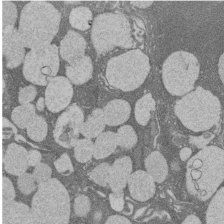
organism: Rat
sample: Salivary granule